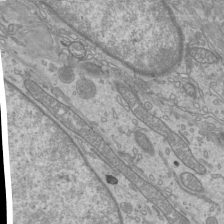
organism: Mouse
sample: Cilia; mouse epididymis